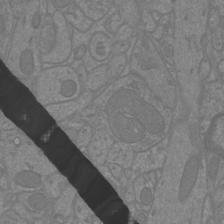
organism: Mouse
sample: Cortical neurons